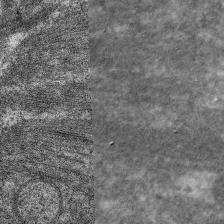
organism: C. elegans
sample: Pharynx